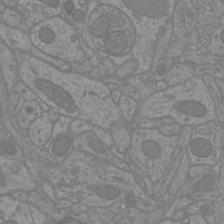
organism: Mouse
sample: Cortical neurons